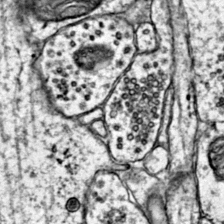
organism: Mouse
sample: Primary visual cortex